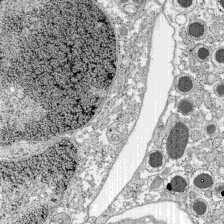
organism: C57BL Mouse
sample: Pancreatic islet